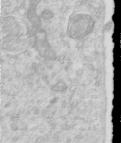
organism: Human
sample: Centriole in RPE cells